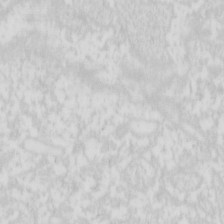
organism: Mouse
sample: Pancreas